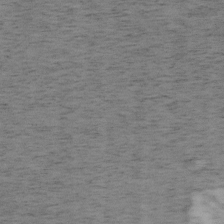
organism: Mouse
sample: OT-I killer T cells with ID8 ovarian cancer cells